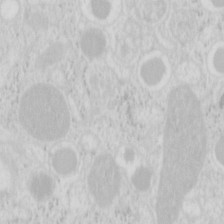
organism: Mouse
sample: Pancreas